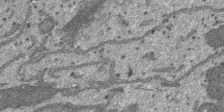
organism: Human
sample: Lung epithelial cells infected with SARS-CoV-2